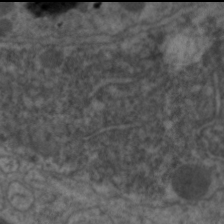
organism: C. elegans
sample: Pharynx